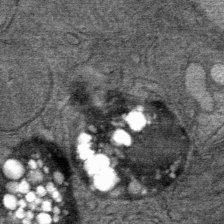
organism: Mouse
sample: Mouse Salivary gland